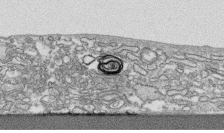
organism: Human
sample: CRL-1474